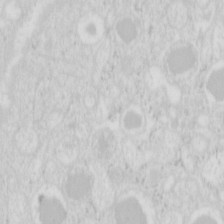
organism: Mouse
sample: Pancreas